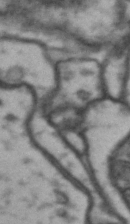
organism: Drosophila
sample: Brain